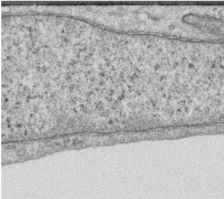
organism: Human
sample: Centriole in RPE cells